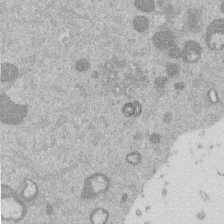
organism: Mouse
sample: Dividing mouse embryo 1 cell stage